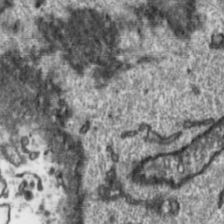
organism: Toxoplasma gondii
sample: Parasites in a vacuole inside a host cell